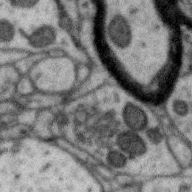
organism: Zebra finch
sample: Brain